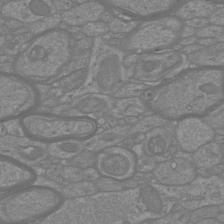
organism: Mouse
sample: Cortical neurons